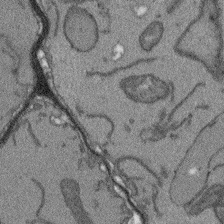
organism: Arabidopsis thaliana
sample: Root tip